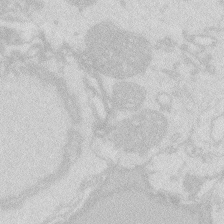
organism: Zebrafish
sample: Macrophage